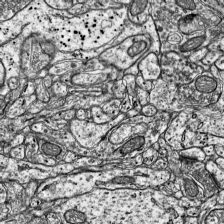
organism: Mouse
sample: Visual Cortex